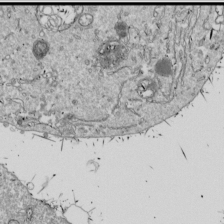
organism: Drosophila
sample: Cell division; meiosis; drosophila spermatocytes